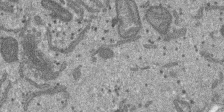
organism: Human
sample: Lung epithelial cells infected with SARS-CoV-2